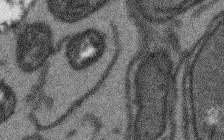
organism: Arabidopsis thaliana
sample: Root tip